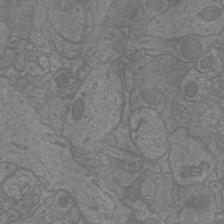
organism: Mouse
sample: Cortical neurons